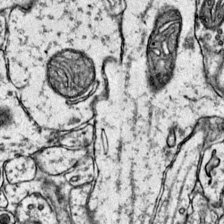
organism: Mouse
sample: Primary visual cortex